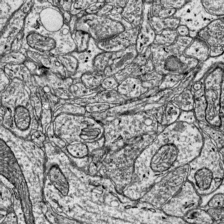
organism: Mouse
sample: Visual Cortex